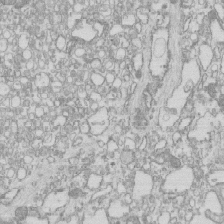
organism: Mouse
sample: Macrophages